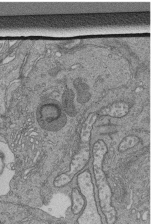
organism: Human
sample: Retinal organoid Rod and Cone cells